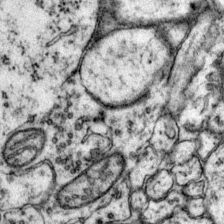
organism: Mouse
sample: Primary visual cortex